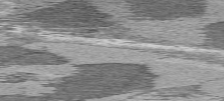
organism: C57BL Mouse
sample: Heart